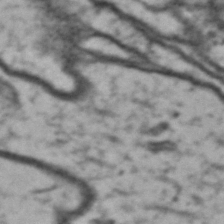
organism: Drosophila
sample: Brain